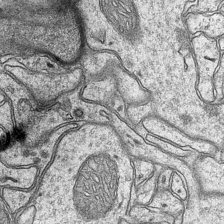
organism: Mouse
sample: CA1 Hippocampus